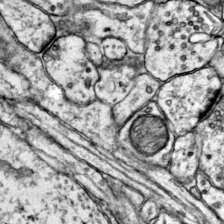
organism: Mouse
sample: Primary visual cortex